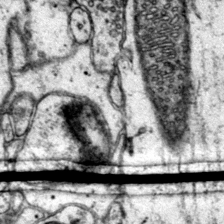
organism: Mouse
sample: Primary visual cortex